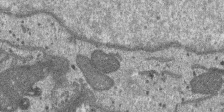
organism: Human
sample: Lung epithelial cells infected with SARS-CoV-2